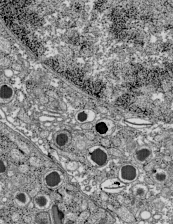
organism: C57BL Mouse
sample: Pancreatic islet